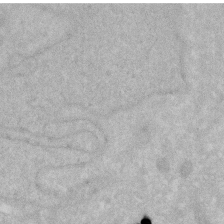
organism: Human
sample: HIV infected U937 cells